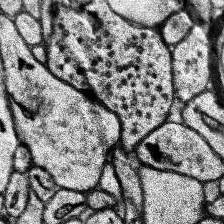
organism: Human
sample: Temporal Lobe